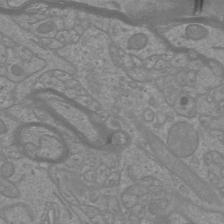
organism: Mouse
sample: Cortical neurons